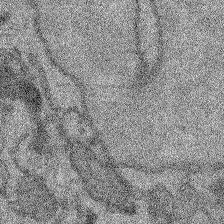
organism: Human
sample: HeLa cells